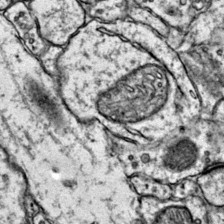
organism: Mouse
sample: Primary visual cortex